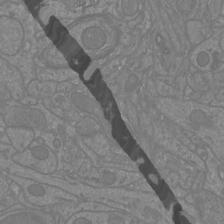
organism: Mouse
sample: Cortical neurons